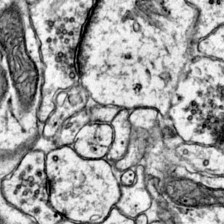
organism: Mouse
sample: Primary visual cortex